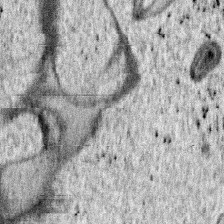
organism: Human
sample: HeLa cells